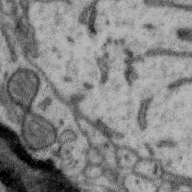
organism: Zebra finch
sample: Brain